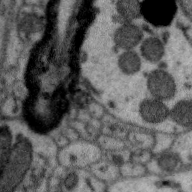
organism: Zebra finch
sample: Brain